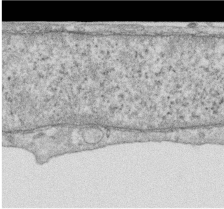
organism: Human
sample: Centriole in RPE cells